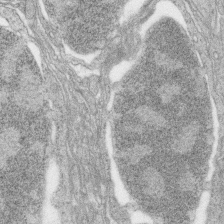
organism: Zebrafish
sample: synaptic ribbons in rod cells and cone cells